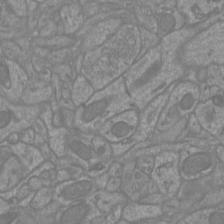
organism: Mouse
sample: Cortical neurons